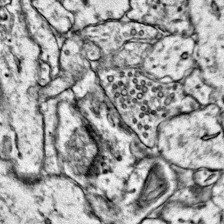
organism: Mouse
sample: Primary visual cortex